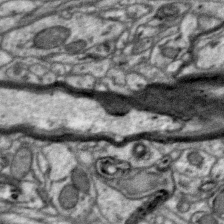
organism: Zebra finch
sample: Brain